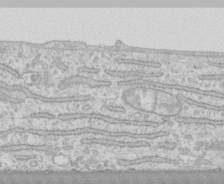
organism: Human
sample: CRL-1474